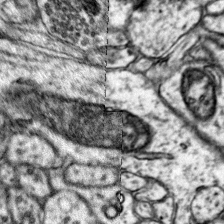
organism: Mouse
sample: Primary visual cortex